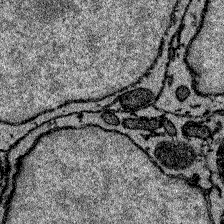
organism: Zebrafish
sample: Larval olfactory bulb